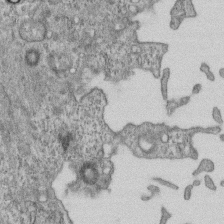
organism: Mouse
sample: Centriole in ependymal cells